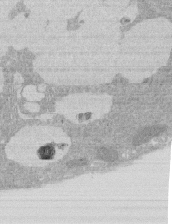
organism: Rat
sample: Salivary granule